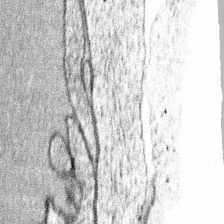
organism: Human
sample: HeLa cells